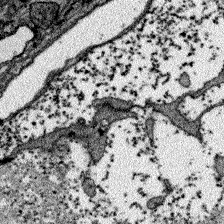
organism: Zebrafish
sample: Larval olfactory bulb